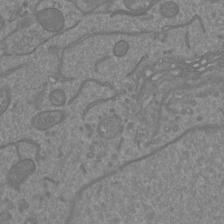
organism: Mouse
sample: Cortical neurons